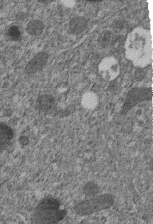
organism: C. elegans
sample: C. elegans embryo early stage